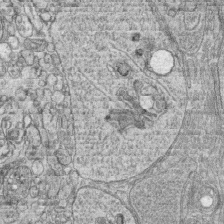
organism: Zebrafish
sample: synaptic ribbons in rod cells and cone cells